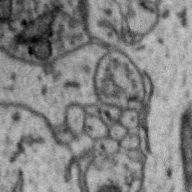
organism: Zebra finch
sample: Brain